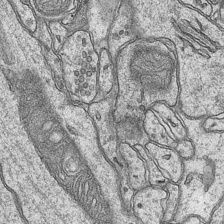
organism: Mouse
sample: CA1 Hippocampus